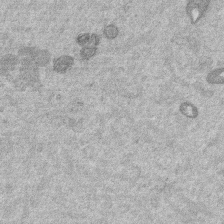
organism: Mouse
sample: Dividing mouse embryo 1 cell stage